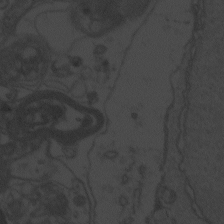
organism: Zebrafish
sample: Macrophage infected with Toxoplasma gondii